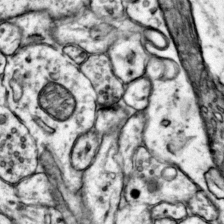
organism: Mouse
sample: Primary visual cortex